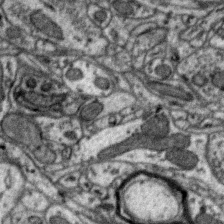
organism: Zebra finch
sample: Brain